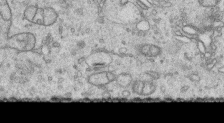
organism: Human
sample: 1205lu cells